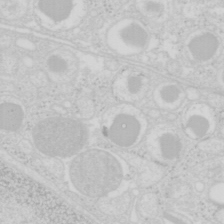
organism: Mouse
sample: Pancreas